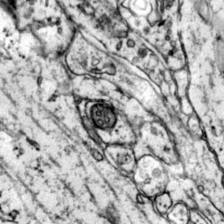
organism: Mouse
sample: Primary visual cortex